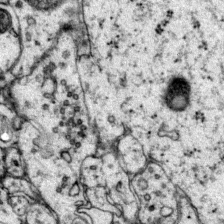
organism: Mouse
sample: Primary visual cortex